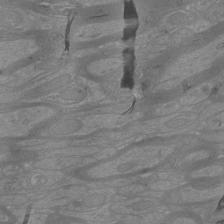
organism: Mouse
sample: Cortical neurons